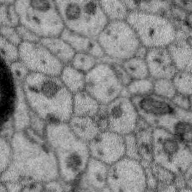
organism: Zebra finch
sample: Brain